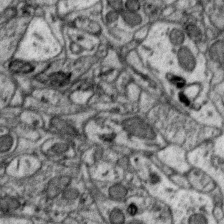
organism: Zebra finch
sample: Brain